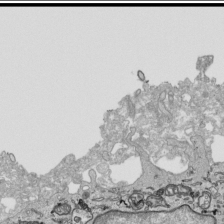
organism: Human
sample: Mitochondria in HCT116 cells